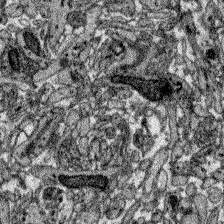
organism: Zebrafish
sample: Larval olfactory bulb